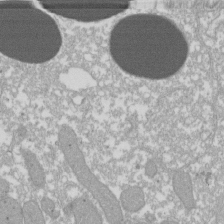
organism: Xenopus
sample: Cilia; centrioles in frog embryo cells